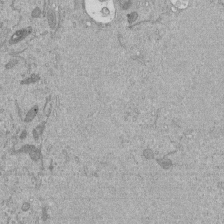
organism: Mouse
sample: ED-1 cell nuclei; centrioles